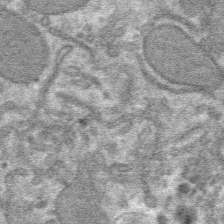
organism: Mouse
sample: Mouse hepatocytes